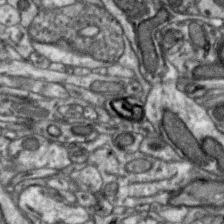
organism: Zebra finch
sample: Brain